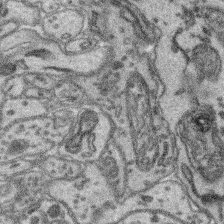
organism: Mouse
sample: Retina